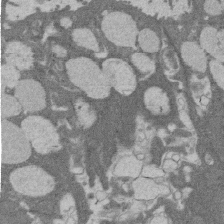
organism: Rat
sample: Salivary granule